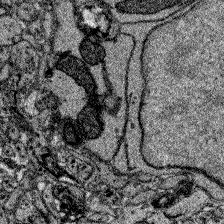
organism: Zebrafish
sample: Larval olfactory bulb